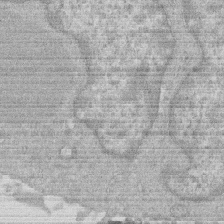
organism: Human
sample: Macrophage cells